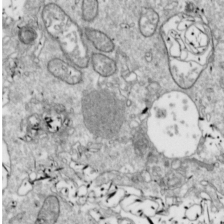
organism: Drosophila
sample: Cell division; meiosis; drosophila spermatocytes